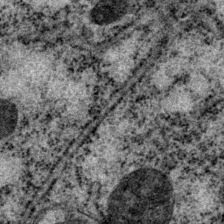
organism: P. pacificus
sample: Pharynx